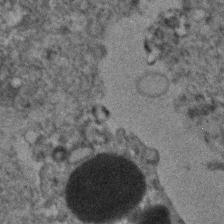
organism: Human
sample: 1205lu cells